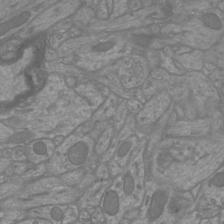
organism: Mouse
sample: Cortical neurons